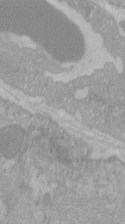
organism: C57BL Mouse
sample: Tibialis anterior muscle cell